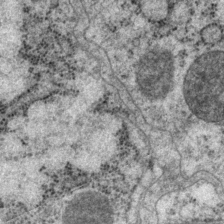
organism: P. pacificus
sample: Pharynx